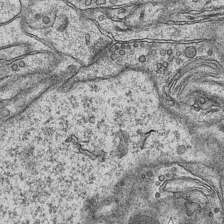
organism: Mouse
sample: CA1 Hippocampus